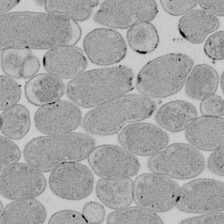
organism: E. coli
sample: Bacterial nucleoid